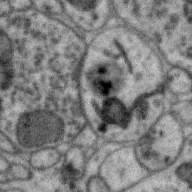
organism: Zebra finch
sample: Brain